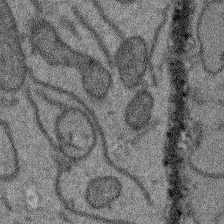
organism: Arabidopsis thaliana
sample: Root tip